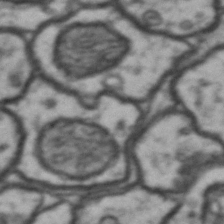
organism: Drosophila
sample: Brain